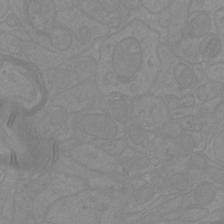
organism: Mouse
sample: Cortical neurons